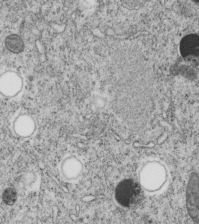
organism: C. elegans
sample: C. elegans embryo early stage